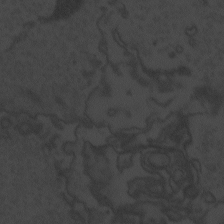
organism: Zebrafish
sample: Macrophage infected with Toxoplasma gondii